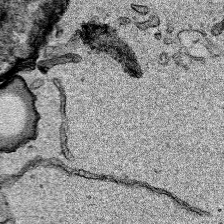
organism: Human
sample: Mitochondria in HCT116 cells